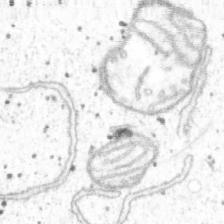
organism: Human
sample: HeLa cells